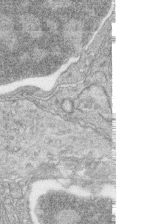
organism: Zebrafish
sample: synaptic ribbons in rod cells and cone cells